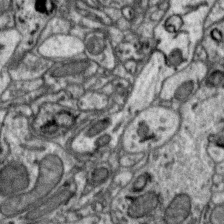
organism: Zebra finch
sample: Brain